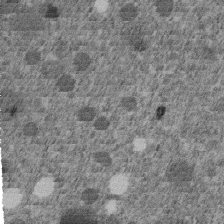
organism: C. elegans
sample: C. elegans embryo early stage